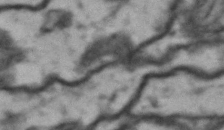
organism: Drosophila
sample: Brain